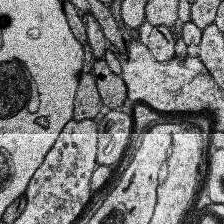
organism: Human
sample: Temporal Lobe